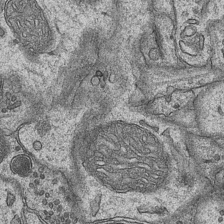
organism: Mouse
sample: CA1 Hippocampus